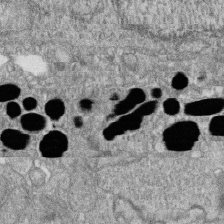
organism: Zebrafish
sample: Cilia; retinal pigment epithelium